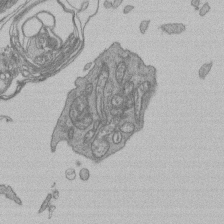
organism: Human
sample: Retinal organoid Rod and Cone cells